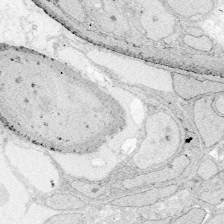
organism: Zebrafish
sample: Whole-Brain